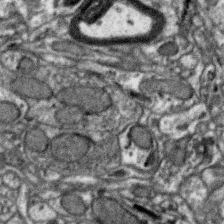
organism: Zebra finch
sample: Brain